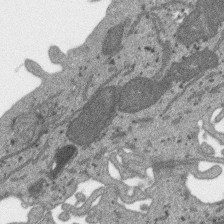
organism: Human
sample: Lung epithelial cells infected with SARS-CoV-2